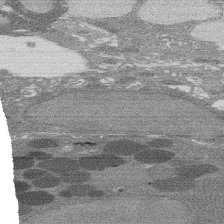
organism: Rat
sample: Salivary granule